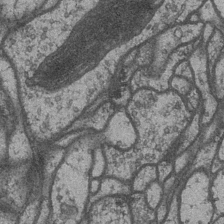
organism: Drosophila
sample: Optic medulla